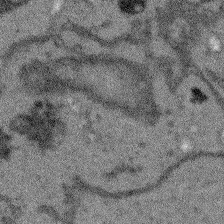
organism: Arabidopsis thaliana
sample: Root tip